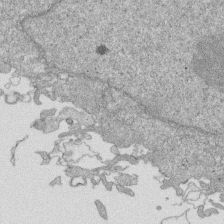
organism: Human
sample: HeLa cell HIV synapse